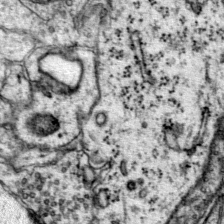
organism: Mouse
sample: Primary visual cortex